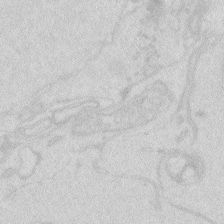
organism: Zebrafish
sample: Macrophage